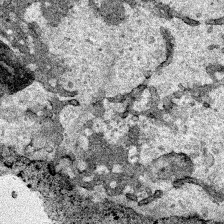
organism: Human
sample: Mitochondria in HCT116 cells